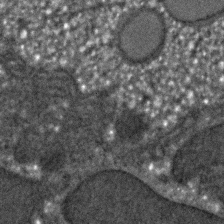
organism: C. elegans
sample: C. elegans embryo